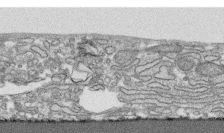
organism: Human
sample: CRL-1474